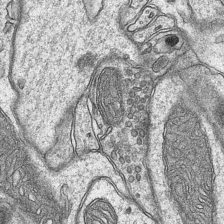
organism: Mouse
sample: CA1 Hippocampus